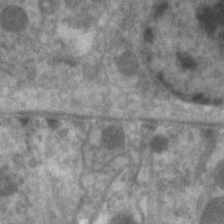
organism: C. elegans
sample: Pharynx